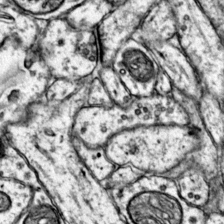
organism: Mouse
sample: Primary visual cortex